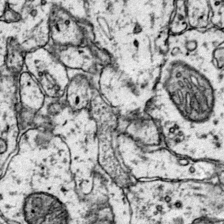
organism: Mouse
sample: Primary visual cortex